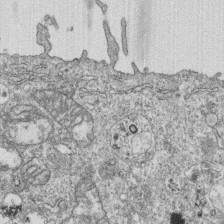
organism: Human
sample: HeLa cell HIV synapse